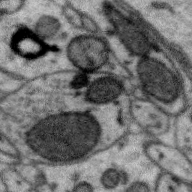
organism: Zebra finch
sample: Brain